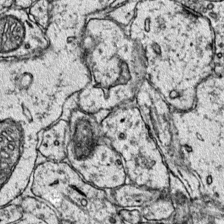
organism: Mouse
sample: Primary visual cortex